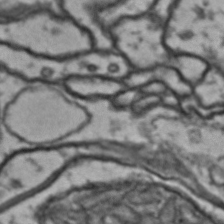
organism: Drosophila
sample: Brain